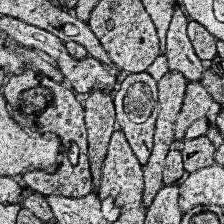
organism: Human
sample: Temporal Lobe